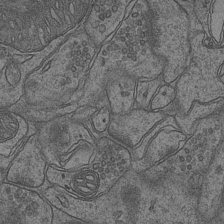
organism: Mouse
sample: CA1 Hippocampus